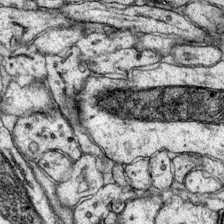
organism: Mouse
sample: Primary visual cortex